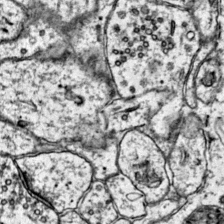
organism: Mouse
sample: Primary visual cortex